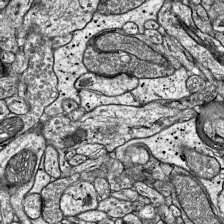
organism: Mouse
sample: Visual Cortex